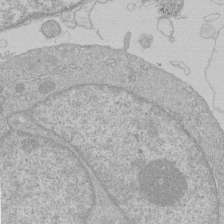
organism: Human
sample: Macrophage cells